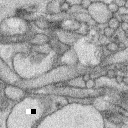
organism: Rabbit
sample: Retina